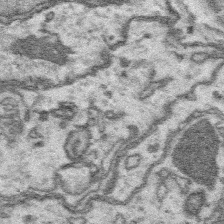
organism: Platynereis dumerilii